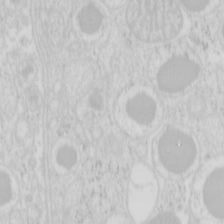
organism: Mouse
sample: Pancreas